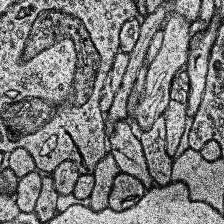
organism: Human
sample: Temporal Lobe